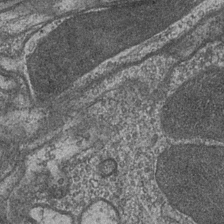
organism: Drosophila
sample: Optic medulla